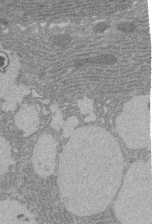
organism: Rat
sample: Salivary granule